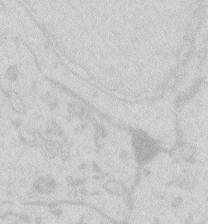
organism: Zebrafish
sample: Macrophage